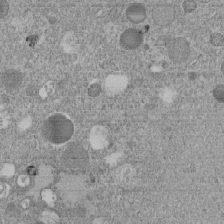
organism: C. elegans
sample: C. elegans embryo early stage